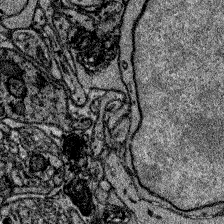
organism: Zebrafish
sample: Larval olfactory bulb